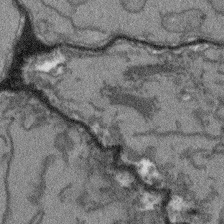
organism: Arabidopsis thaliana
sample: Root tip